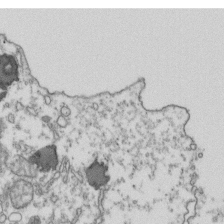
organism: Human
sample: Activated Jurkat CD4+ T cells